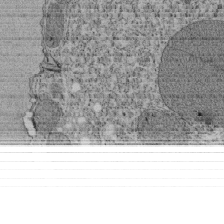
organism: Tetrahymena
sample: Cilia in tetrahymena